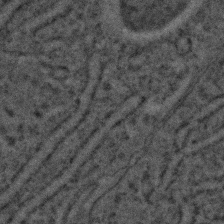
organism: C. elegans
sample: C. elegans embryo